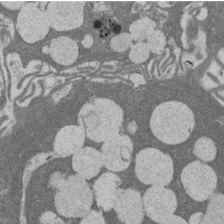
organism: Rat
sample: Salivary granule